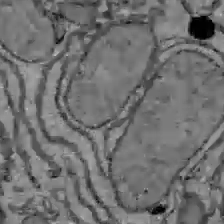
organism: C57BL Mouse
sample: Liver